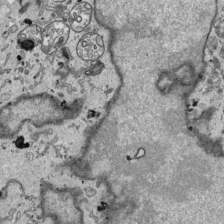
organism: Human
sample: Mitochondria in HCT116 cells